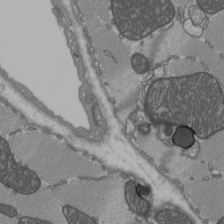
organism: C57BL Mouse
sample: Heart